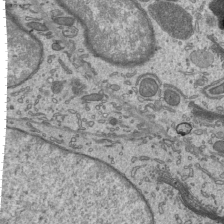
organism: Mouse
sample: Mouse epididymis efferent ductule cilia